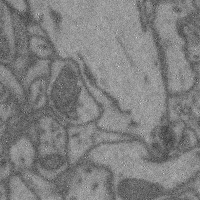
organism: Mouse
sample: Cerebral cortex